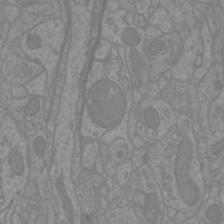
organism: Mouse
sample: Cortical neurons